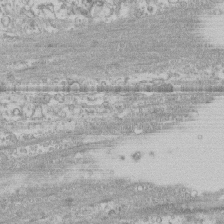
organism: Human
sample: CRL-1474